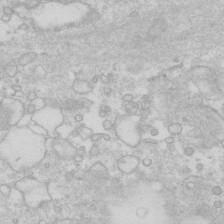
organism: Human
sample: Fibroblast cells